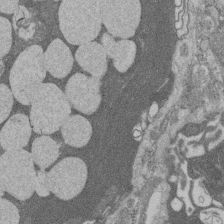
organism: Rat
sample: Salivary granule